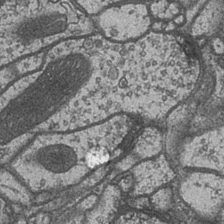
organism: Drosophila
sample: Optic medulla